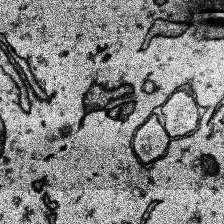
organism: Human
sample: Temporal Lobe